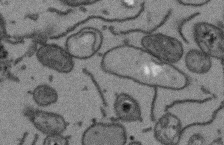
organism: Arabidopsis thaliana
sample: Root tip